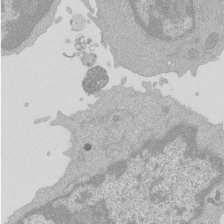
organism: Mouse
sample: Activated Pmel transgenic CD8+ T Cells